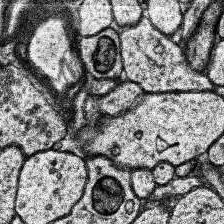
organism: Human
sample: Temporal Lobe